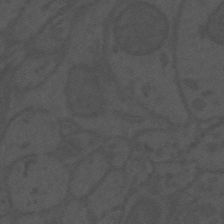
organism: Mouse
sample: Suprachiasmatic nucleus